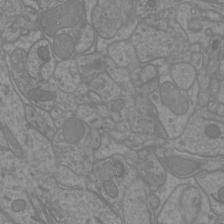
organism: Mouse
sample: Cortical neurons